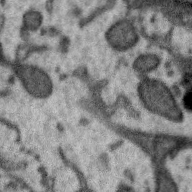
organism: Zebra finch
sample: Brain